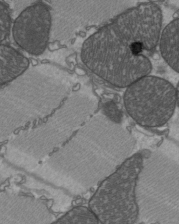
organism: C57BL Mouse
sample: Heart